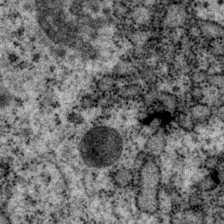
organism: P. pacificus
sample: Pharynx